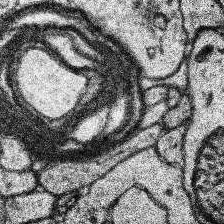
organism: Human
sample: Temporal Lobe